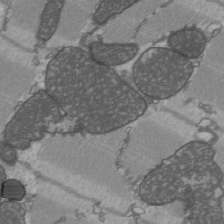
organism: C57BL Mouse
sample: Heart